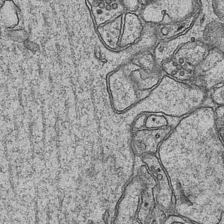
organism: Mouse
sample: CA1 Hippocampus